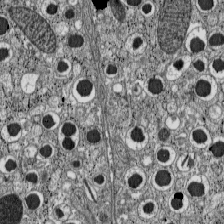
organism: C57BL Mouse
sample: Pancreatic islet